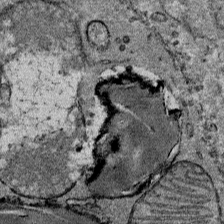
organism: Mouse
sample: Mouse Salivary gland